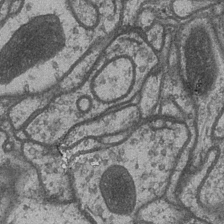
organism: Drosophila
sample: Optic medulla